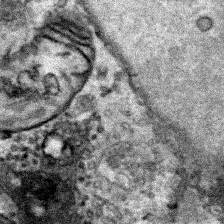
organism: Human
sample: Mitochondria in HCT116 cells